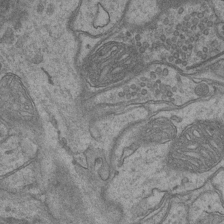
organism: Mouse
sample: CA1 Hippocampus